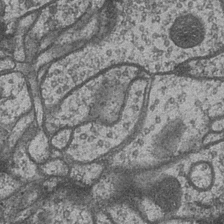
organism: Drosophila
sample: Optic medulla